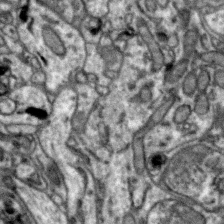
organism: Zebra finch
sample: Brain